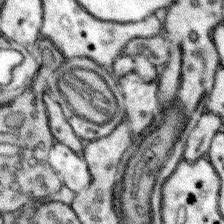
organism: Mouse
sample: Somatosensory cortex neuropil